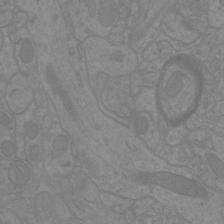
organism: Mouse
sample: Cortical neurons